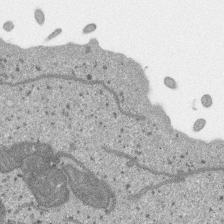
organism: Human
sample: Lung epithelial cells infected with SARS-CoV-2